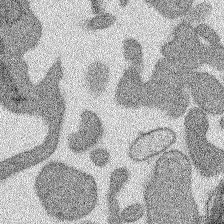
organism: Human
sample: HeLa cells